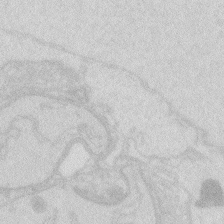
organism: Zebrafish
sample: Macrophage